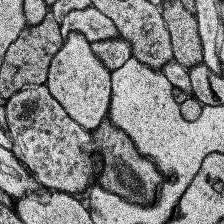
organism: Human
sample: Temporal Lobe